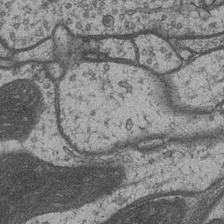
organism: Drosophila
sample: Optic medulla